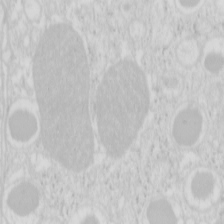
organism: Mouse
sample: Pancreas